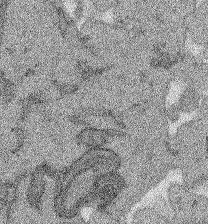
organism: Human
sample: HeLa cells